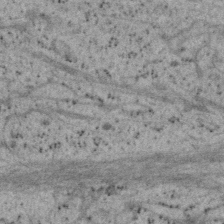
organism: Human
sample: HeLa cells